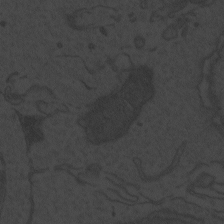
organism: Zebrafish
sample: Macrophage infected with Toxoplasma gondii